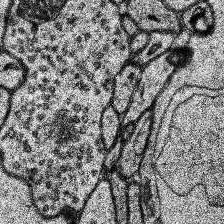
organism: Human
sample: Temporal Lobe